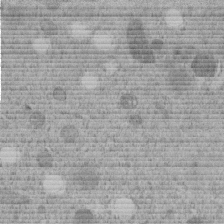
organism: C. elegans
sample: C. elegans embryo early stage